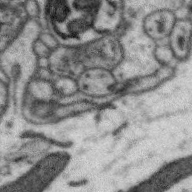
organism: Zebra finch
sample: Brain